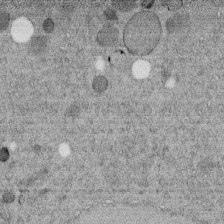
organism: C. elegans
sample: C. elegans embryo early stage